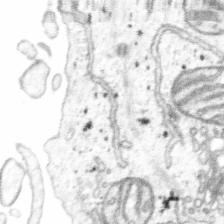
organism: Human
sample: HeLa cells